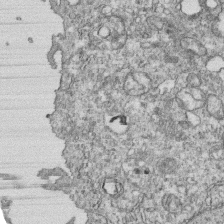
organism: Human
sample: HeLa cell HIV synapse